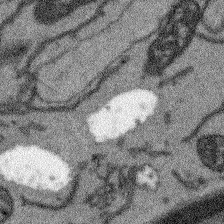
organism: Arabidopsis thaliana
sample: Root tip